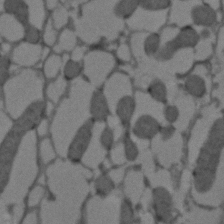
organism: C. elegans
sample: C. elegans embryo